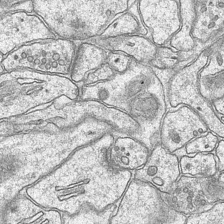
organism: Mouse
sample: CA1 Hippocampus